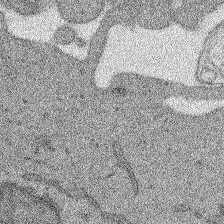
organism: Human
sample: HeLa cells